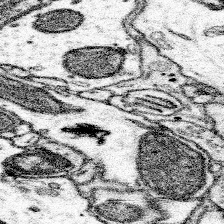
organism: Mouse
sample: Somatosensory cortex neuropil